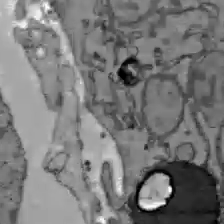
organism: C57BL Mouse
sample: Liver